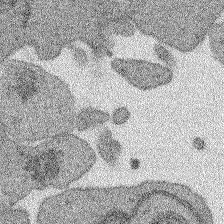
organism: Human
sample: HeLa cells